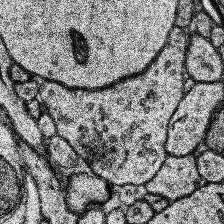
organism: Human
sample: Temporal Lobe